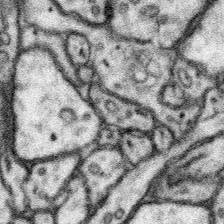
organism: Mouse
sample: Somatosensory cortex neuropil